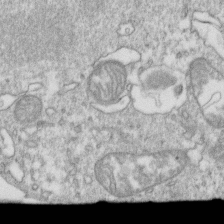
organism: Mouse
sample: Activated OT-1 CD8+ T cells